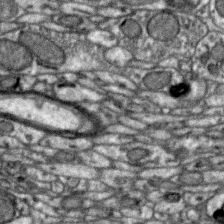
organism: Zebra finch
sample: Brain